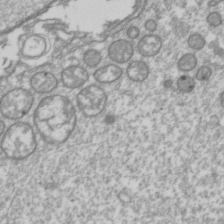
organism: Drosophila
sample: Cell division; meiosis; drosophila spermatocytes